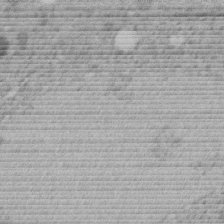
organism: C. elegans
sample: C. elegans embryo early stage